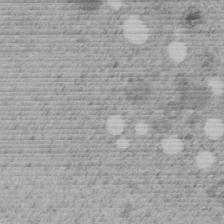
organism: C. elegans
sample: C. elegans embryo early stage